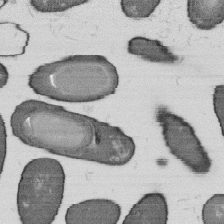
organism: B. subtilis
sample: Bacterial spore